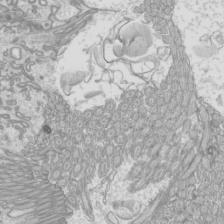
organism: Mouse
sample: Cilia; mouse epididymis